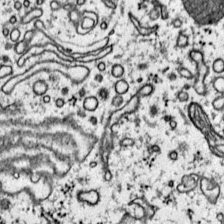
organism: Mouse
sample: Primary visual cortex